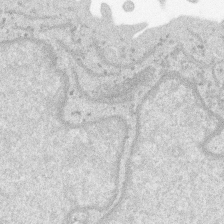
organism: Human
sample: Lung epithelial cells infected with SARS-CoV-2